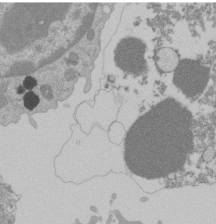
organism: Mouse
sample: Activated Pmel transgenic CD8+ T Cells